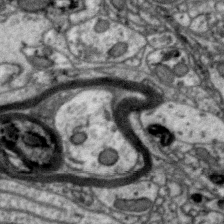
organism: Zebra finch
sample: Brain